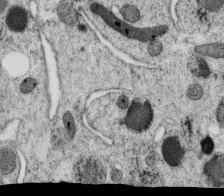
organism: C. elegans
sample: C. elegans oocyte; sperm cells